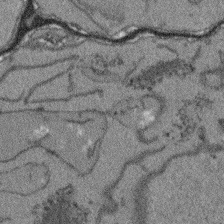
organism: Arabidopsis thaliana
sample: Root tip